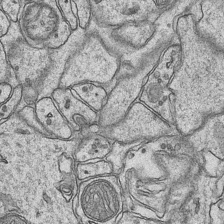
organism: Mouse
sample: CA1 Hippocampus